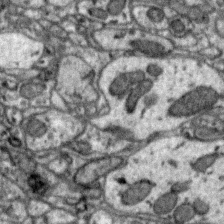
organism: Zebra finch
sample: Brain